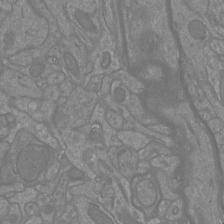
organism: Mouse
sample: Cortical neurons